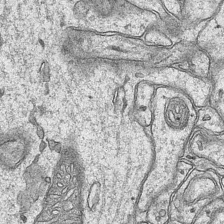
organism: Mouse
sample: CA1 Hippocampus